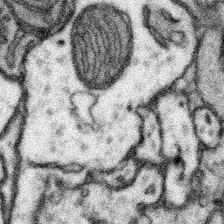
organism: Mouse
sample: Somatosensory cortex neuropil